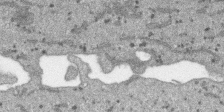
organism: Human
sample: Lung epithelial cells infected with SARS-CoV-2